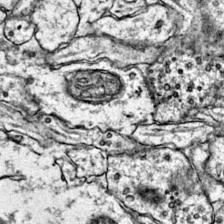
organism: Mouse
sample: Primary visual cortex